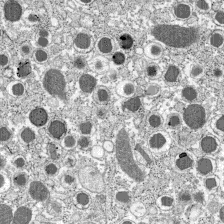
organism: C57BL Mouse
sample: Pancreatic islet